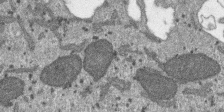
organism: Human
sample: Lung epithelial cells infected with SARS-CoV-2